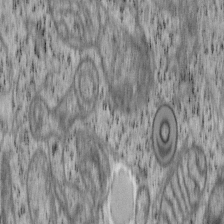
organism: Human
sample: HeLa cells